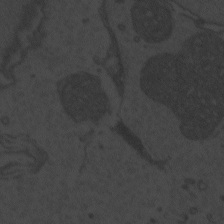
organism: Zebrafish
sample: Macrophage infected with Toxoplasma gondii